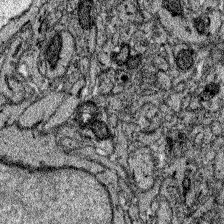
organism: Zebrafish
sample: Larval olfactory bulb